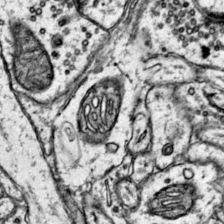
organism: Mouse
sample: Primary visual cortex